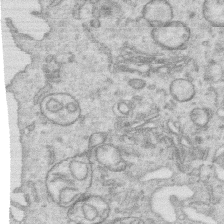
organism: Human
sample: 1205lu cells